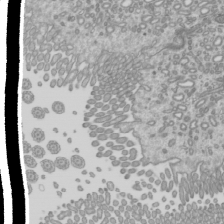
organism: Mouse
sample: Cilia; mouse epididymis